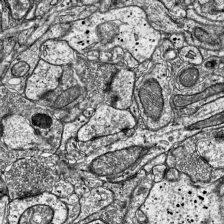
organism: Mouse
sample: Visual Cortex